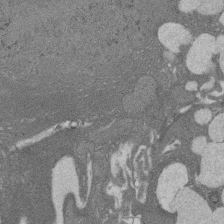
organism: Rat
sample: Salivary granule